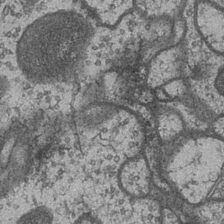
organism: Drosophila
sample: Optic medulla